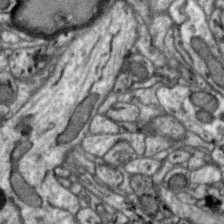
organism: Zebra finch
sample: Brain